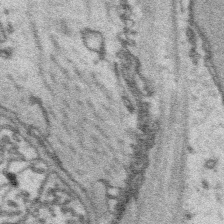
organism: Platynereis dumerilii